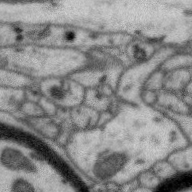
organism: Zebra finch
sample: Brain